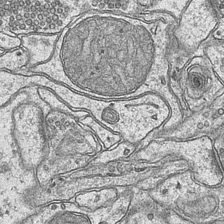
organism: Mouse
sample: CA1 Hippocampus